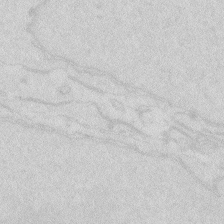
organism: Zebrafish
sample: Macrophage